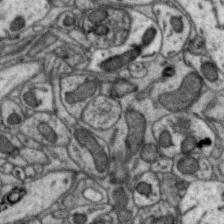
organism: Zebra finch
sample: Brain